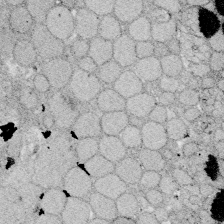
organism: Zebrafish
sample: Whole-Brain